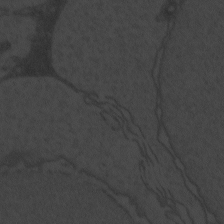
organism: Zebrafish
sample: Macrophage infected with Toxoplasma gondii